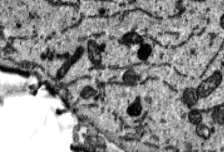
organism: Human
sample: HeLa cells